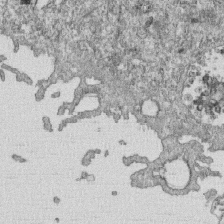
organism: Human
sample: HeLa cell HIV synapse